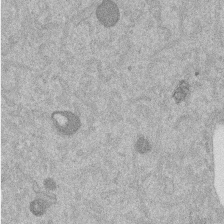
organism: Mouse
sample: Dividing mouse embryo 1 cell stage